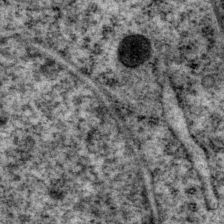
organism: P. pacificus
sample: Pharynx